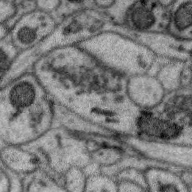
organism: Zebra finch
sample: Brain